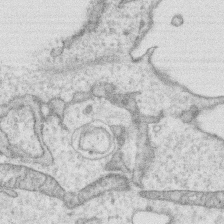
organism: Human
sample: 1205lu cells